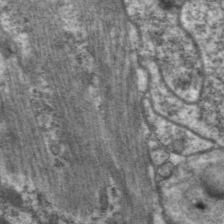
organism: C. elegans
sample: Pharynx